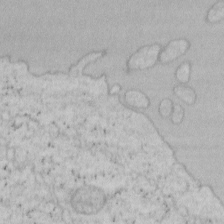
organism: Human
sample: HeLa cells